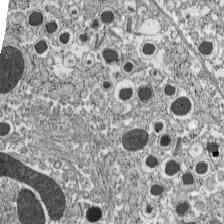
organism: C57BL Mouse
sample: Pancreatic islet